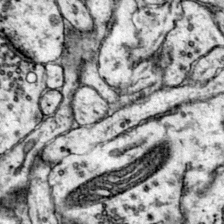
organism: Mouse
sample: Primary visual cortex